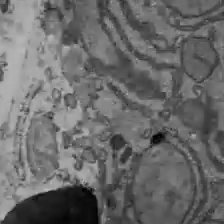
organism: C57BL Mouse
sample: Liver